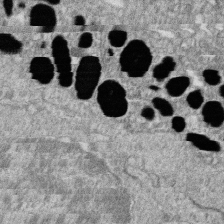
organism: Zebrafish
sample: Cilia; retinal pigment epithelium